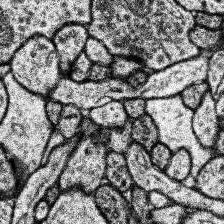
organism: Human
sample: Temporal Lobe